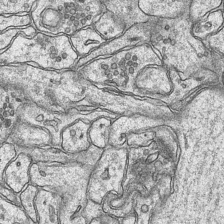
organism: Mouse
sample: CA1 Hippocampus